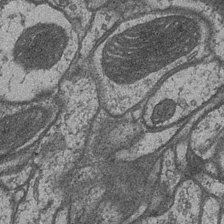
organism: Drosophila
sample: Optic medulla